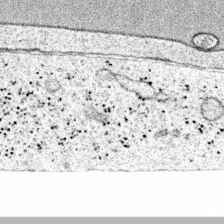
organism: Human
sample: HeLa cells